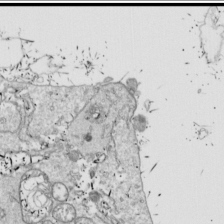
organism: Drosophila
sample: Cell division; meiosis; drosophila spermatocytes